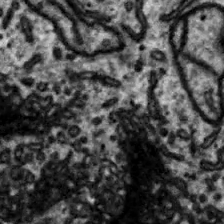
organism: Human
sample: HeLa cells